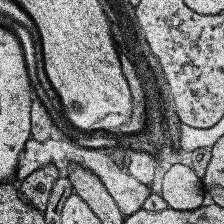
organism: Human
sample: Temporal Lobe